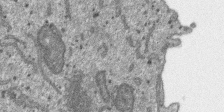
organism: Human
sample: Lung epithelial cells infected with SARS-CoV-2